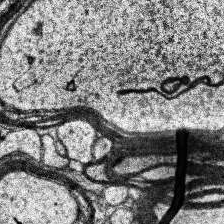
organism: Human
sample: Temporal Lobe